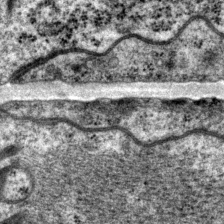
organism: P. pacificus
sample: Pharynx